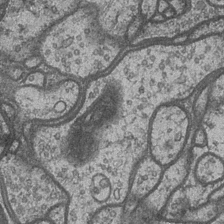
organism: Drosophila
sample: Optic medulla